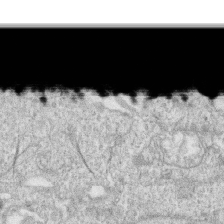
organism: Human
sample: HeLa cell HIV synapse